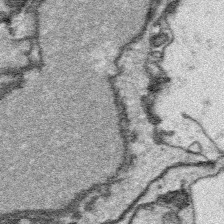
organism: Platynereis dumerilii